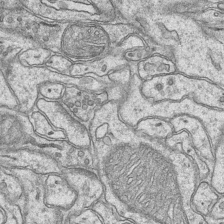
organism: Mouse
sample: CA1 Hippocampus